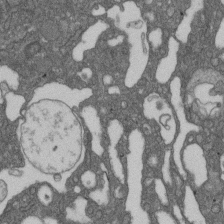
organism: Drosophila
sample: Nephrocyte